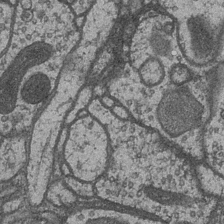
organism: Drosophila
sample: Optic medulla